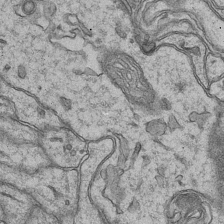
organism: Mouse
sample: CA1 Hippocampus